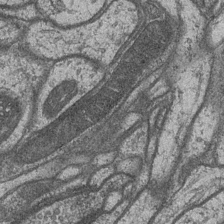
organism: Drosophila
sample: Optic medulla